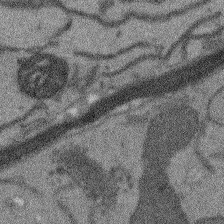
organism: Arabidopsis thaliana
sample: Root tip